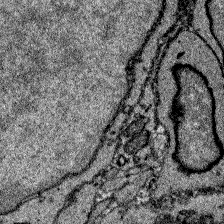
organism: Zebrafish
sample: Larval olfactory bulb